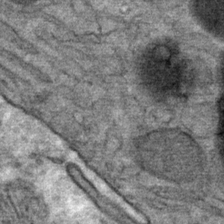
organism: Mouse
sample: Mouse Salivary gland